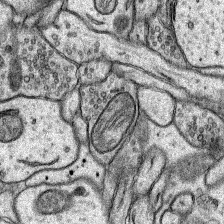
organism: Rat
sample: Hippocampus